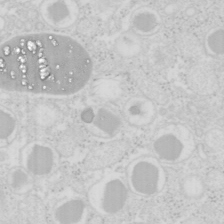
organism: Mouse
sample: Pancreas